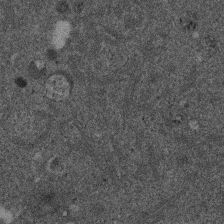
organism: Mouse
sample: Dividing mouse embryo 1 cell stage